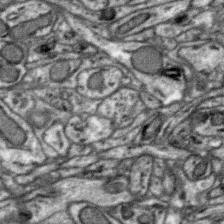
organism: Zebra finch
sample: Brain